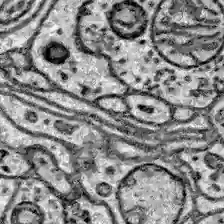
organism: Zebrafish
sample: Brain